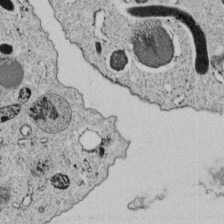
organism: C. elegans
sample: C. elegans embryo early stage